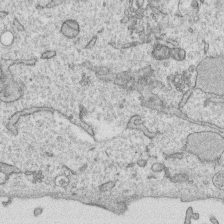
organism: Human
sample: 1205lu cells